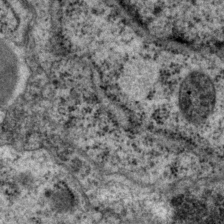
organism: P. pacificus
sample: Pharynx